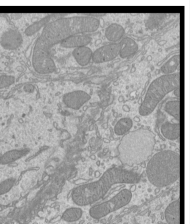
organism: Mouse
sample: Cilia; mouse epididymis